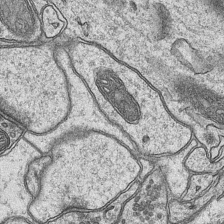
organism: Mouse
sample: CA1 Hippocampus